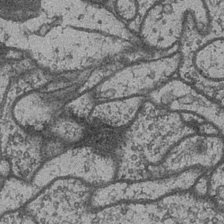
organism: Drosophila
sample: Optic medulla